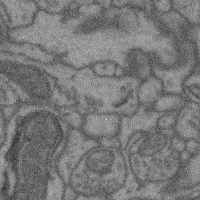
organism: Mouse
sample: Cerebral cortex